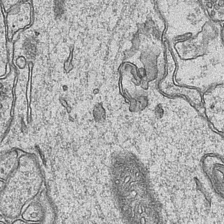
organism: Mouse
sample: CA1 Hippocampus